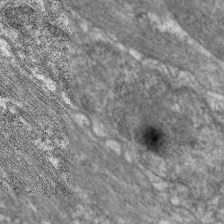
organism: C. elegans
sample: Pharynx